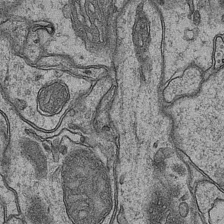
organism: Mouse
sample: CA1 Hippocampus